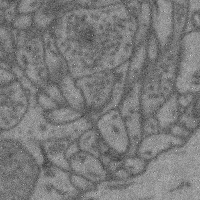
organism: Mouse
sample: Cerebral cortex